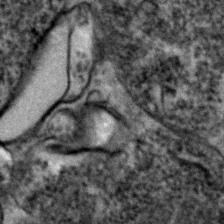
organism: Zebrafish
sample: Zebrafish embryo